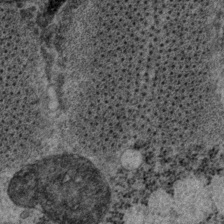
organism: P. pacificus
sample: Pharynx